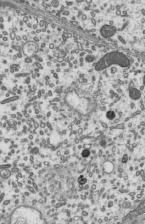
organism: Mouse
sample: Mouse epididymis efferent ductule cilia